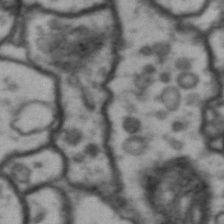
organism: Drosophila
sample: Brain